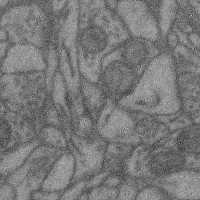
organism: Mouse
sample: Cerebral cortex